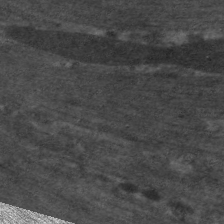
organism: C. elegans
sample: Pharynx